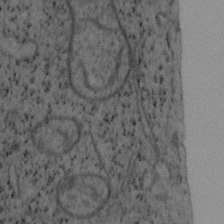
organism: Human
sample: HeLa cells